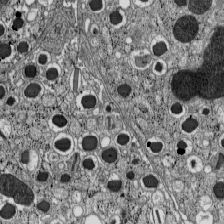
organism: C57BL Mouse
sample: Pancreatic islet